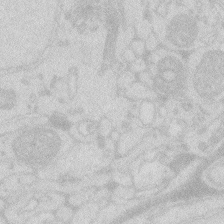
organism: Zebrafish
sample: Macrophage